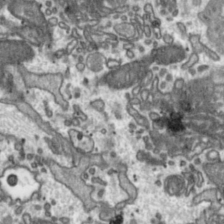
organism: Toxoplasma gondii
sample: Parasites in a vacuole inside a host cell